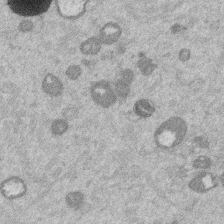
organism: Mouse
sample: Dividing mouse embryo 1 cell stage